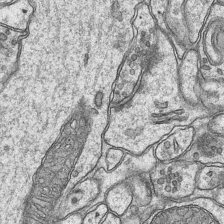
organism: Mouse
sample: CA1 Hippocampus